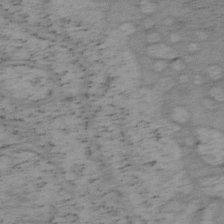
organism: Mouse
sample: OT-I killer T cells with ID8 ovarian cancer cells